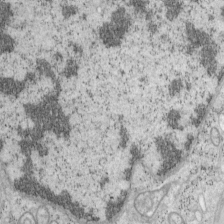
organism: Mouse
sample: OT-I killer T cells with ID8 ovarian cancer cells